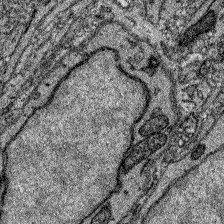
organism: Zebrafish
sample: Larval olfactory bulb